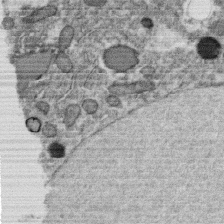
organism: C. elegans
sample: C. elegans oocyte; sperm cells